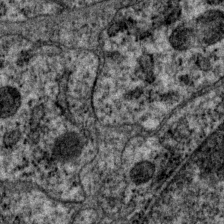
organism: P. pacificus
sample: Pharynx